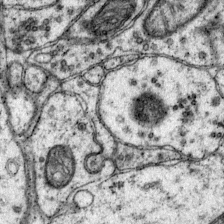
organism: Mouse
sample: Primary visual cortex